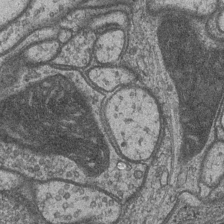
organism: Drosophila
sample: Optic medulla